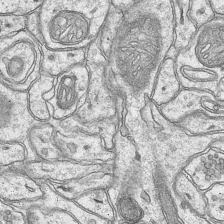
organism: Mouse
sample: CA1 Hippocampus